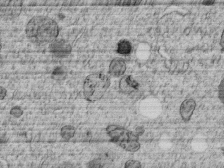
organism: C. elegans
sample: C. elegans embryo early stage